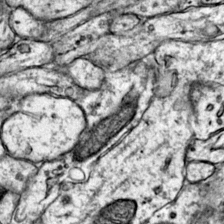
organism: Mouse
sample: Primary visual cortex